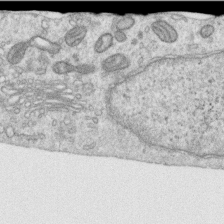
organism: Human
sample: Centriole in RPE cells